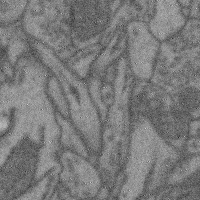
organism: Mouse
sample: Cerebral cortex